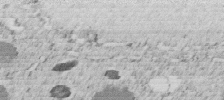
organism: C. elegans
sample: C. elegans embryo early stage